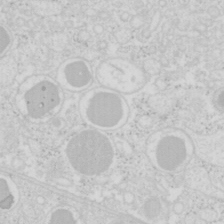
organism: Mouse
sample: Pancreas